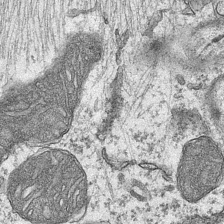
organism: Mouse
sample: CA1 Hippocampus